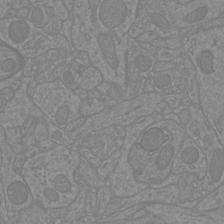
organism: Mouse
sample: Cortical neurons